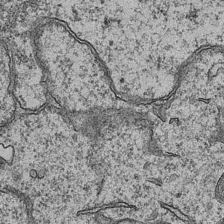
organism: Mouse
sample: CA1 Hippocampus